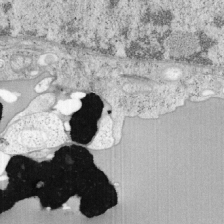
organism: Human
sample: HeLa cells